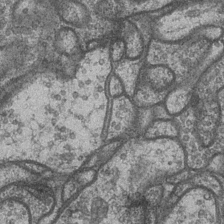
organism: Drosophila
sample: Optic medulla